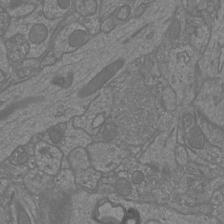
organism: Mouse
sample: Cortical neurons